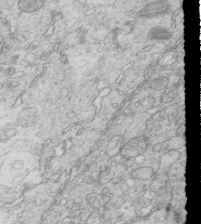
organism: Mouse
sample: Multiciliated cells